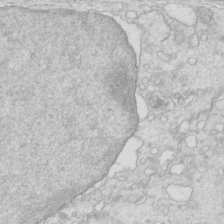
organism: Mouse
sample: Multiciliated cells